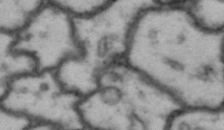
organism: Drosophila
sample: Brain